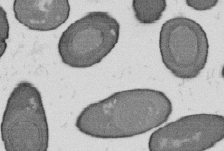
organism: B. subtilis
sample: Bacterial spore